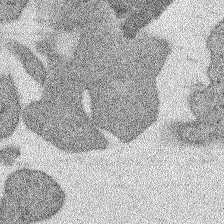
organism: Human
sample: HeLa cells